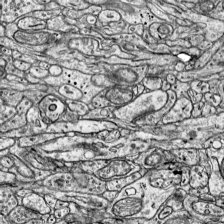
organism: Mouse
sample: Visual Cortex